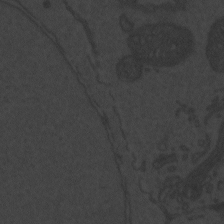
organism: Zebrafish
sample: Macrophage infected with Toxoplasma gondii